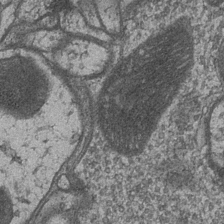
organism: Drosophila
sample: Optic medulla